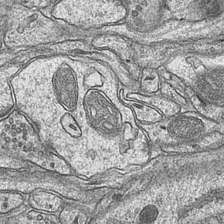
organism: Mouse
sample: CA1 Hippocampus